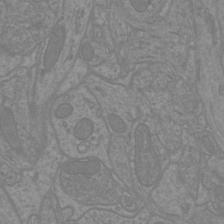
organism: Mouse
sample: Cortical neurons